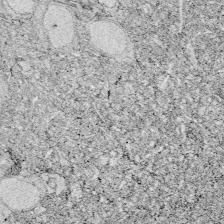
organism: Zebrafish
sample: Whole-Brain